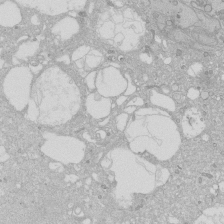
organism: Human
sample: Caco-2 cells